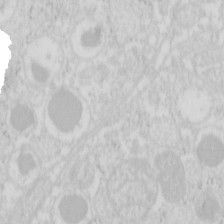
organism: Mouse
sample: Pancreas